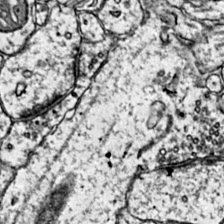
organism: Mouse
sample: Primary visual cortex